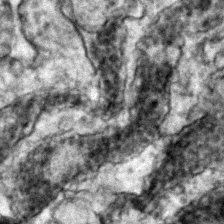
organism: Zebrafish